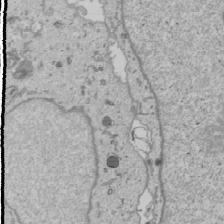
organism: Human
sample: Mitochondria in U2OS cells